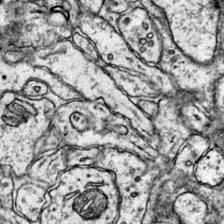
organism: Mouse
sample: Primary visual cortex